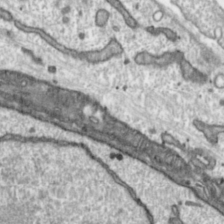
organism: Toxoplasma gondii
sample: Parasites in a vacuole inside a host cell